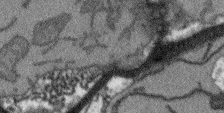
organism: Arabidopsis thaliana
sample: Root tip